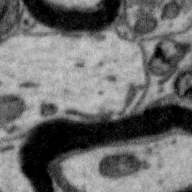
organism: Zebra finch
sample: Brain